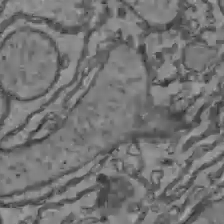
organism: C57BL Mouse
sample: Liver